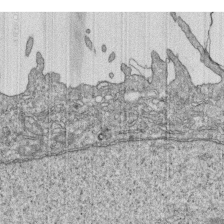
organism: Human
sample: HeLa cell HIV synapse